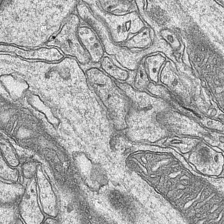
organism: Mouse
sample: CA1 Hippocampus